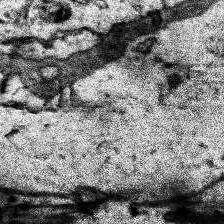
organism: Human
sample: Temporal Lobe